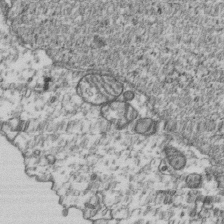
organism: Human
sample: Activated Jurkat CD4+ T cells